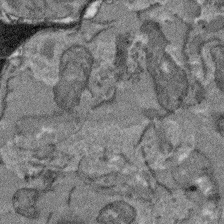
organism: Arabidopsis thaliana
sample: Root tip